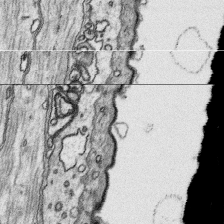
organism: Platynereis dumerilii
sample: Parapodia